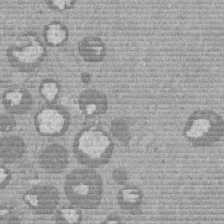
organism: Mouse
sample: Dividing mouse embryo 1 cell stage